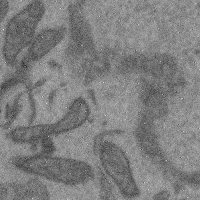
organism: Mouse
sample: Cerebral cortex